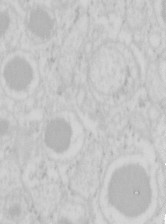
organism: Mouse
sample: Pancreas